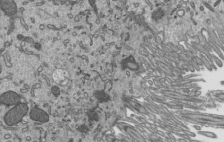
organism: Mouse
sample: Mouse epididymis efferent ductule cilia